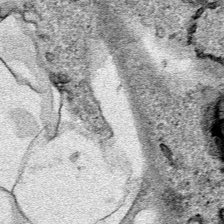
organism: Human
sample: Mitochondria in HCT116 cells